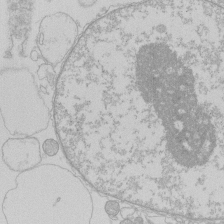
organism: Human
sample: Macrophage cells